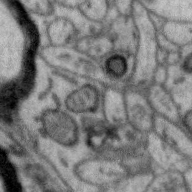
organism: Zebra finch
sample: Brain